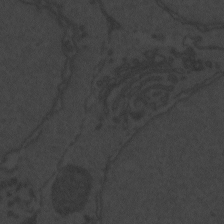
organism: Zebrafish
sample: Macrophage infected with Toxoplasma gondii